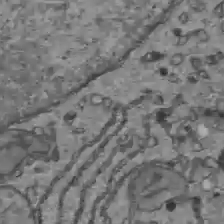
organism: C57BL Mouse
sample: Liver